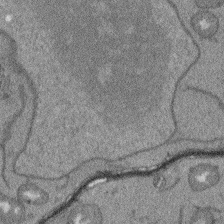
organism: Arabidopsis thaliana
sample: Root tip